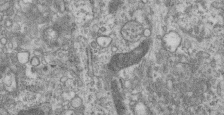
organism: Mouse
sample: Centriole in ependymal cells